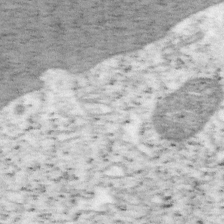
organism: Mouse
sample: OT-I killer T cells with ID8 ovarian cancer cells